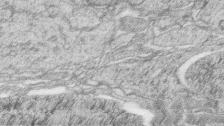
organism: Zebrafish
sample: synaptic ribbons in rod cells and cone cells